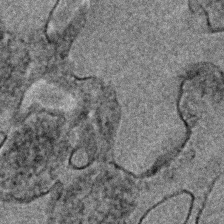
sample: Trachea